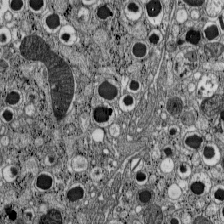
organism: C57BL Mouse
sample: Pancreatic islet